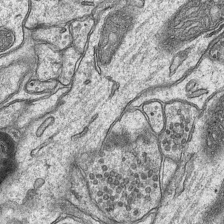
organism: Mouse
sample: CA1 Hippocampus